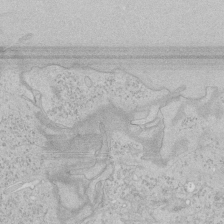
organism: Human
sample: Mitochondria in HCT116 cells